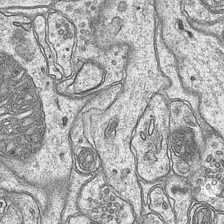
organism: Mouse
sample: CA1 Hippocampus